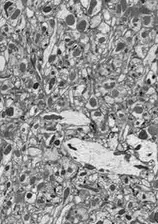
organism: Drosophila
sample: Optic lobe